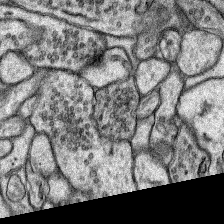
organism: Rat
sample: Hippocampus